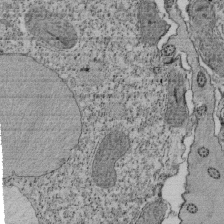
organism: Tetrahymena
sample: Cilia in tetrahymena